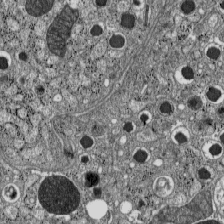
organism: C57BL Mouse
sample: Pancreatic islet